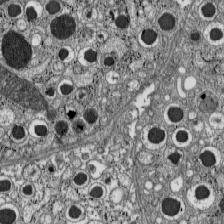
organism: C57BL Mouse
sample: Pancreatic islet